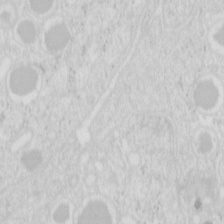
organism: Mouse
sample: Pancreas